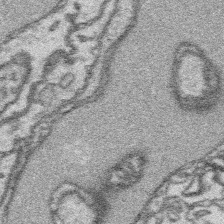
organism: Platynereis dumerilii